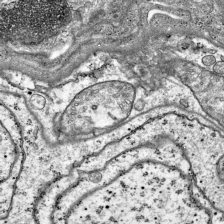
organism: Mouse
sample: Visual Cortex